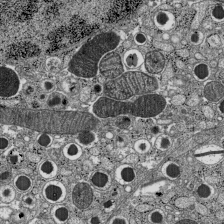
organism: C57BL Mouse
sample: Pancreatic islet